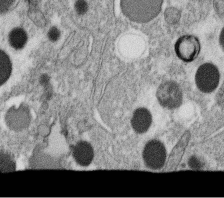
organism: C. elegans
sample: C. elegans oocyte; sperm cells